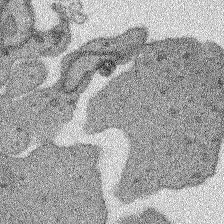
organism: Human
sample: HeLa cells